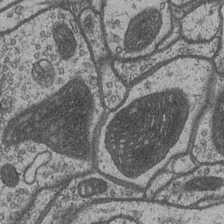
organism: Drosophila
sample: Optic medulla